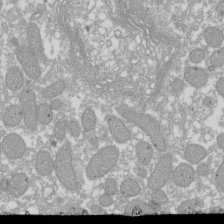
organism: Xenopus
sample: Cilia; centrioles in frog embryo cells